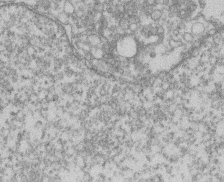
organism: Mouse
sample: T cell stromal cell synapse